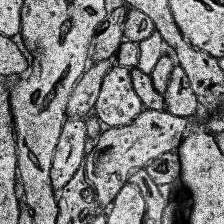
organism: Human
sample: Temporal Lobe